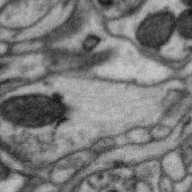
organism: Zebra finch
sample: Brain